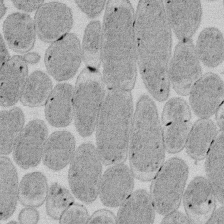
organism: E. coli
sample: Bacterial nucleoid